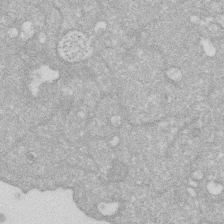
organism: Human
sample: HIV infected U937 cells